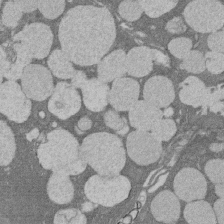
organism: Rat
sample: Salivary granule